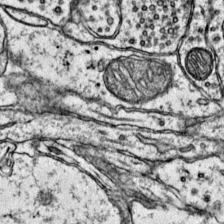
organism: Mouse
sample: Primary visual cortex